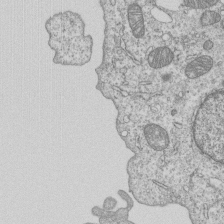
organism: Human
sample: MDA-MB-231 cells